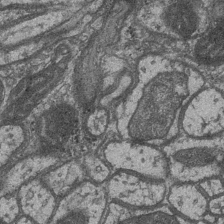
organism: Drosophila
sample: Optic medulla